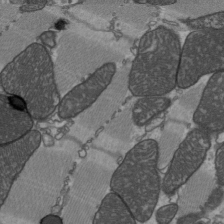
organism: C57BL Mouse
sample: Heart